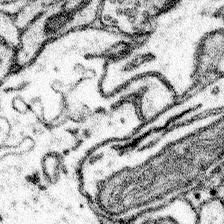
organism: Mouse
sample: Somatosensory cortex neuropil